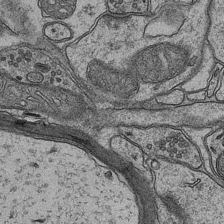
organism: Mouse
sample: CA1 Hippocampus